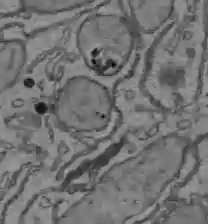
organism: C57BL Mouse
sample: Liver